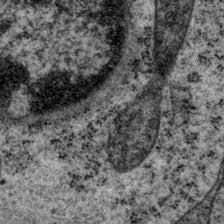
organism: P. pacificus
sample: Pharynx